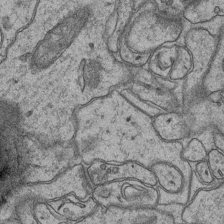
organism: Mouse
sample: CA1 Hippocampus